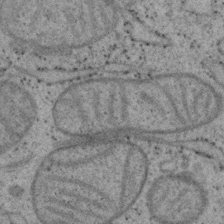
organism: Human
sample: HeLa cells